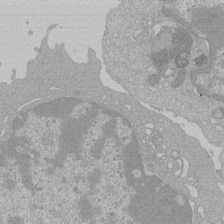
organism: Mouse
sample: Activated Pmel transgenic CD8+ T Cells